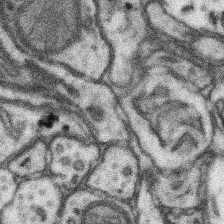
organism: Mouse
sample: Somatosensory cortex neuropil